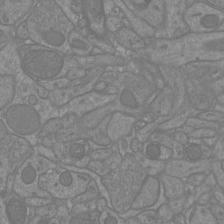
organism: Mouse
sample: Cortical neurons